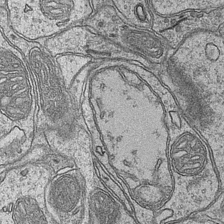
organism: Mouse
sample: CA1 Hippocampus